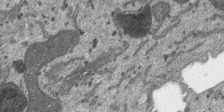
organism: Human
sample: Lung epithelial cells infected with SARS-CoV-2